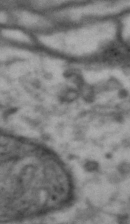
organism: Drosophila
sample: Brain